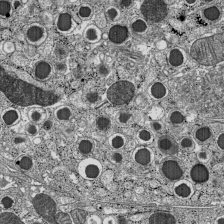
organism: C57BL Mouse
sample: Pancreatic islet